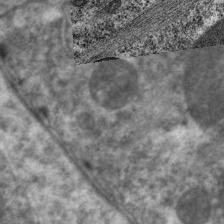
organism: C. elegans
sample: Pharynx